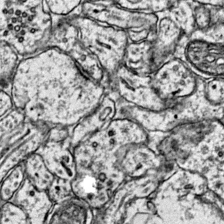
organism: Mouse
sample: Primary visual cortex